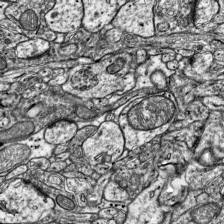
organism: Mouse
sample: Visual Cortex